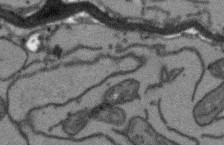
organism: Arabidopsis thaliana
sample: Root tip